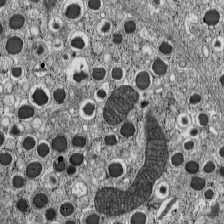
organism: C57BL Mouse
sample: Pancreatic islet